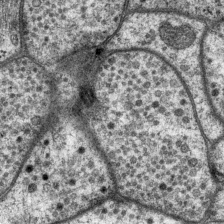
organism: P. pacificus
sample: Pharynx